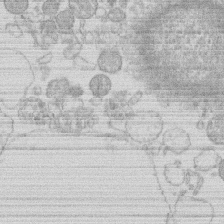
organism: Human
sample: Macrophage cells